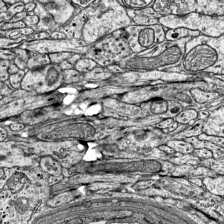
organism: Mouse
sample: Visual Cortex